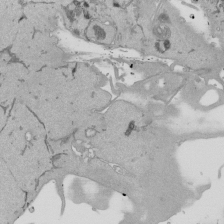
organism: Mouse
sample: ED-1 cell nuclei; centrioles